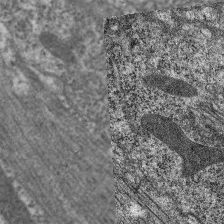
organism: C. elegans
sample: Pharynx